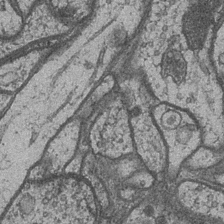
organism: Drosophila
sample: Optic medulla